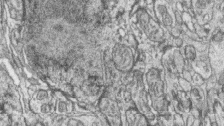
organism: Zebrafish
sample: synaptic ribbons in rod cells and cone cells